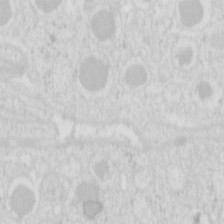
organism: Mouse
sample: Pancreas